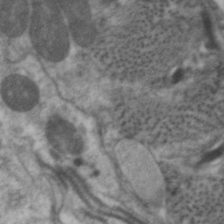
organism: C. elegans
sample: Pharynx